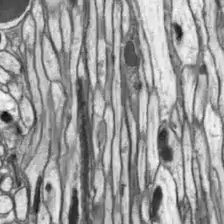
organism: Drosophila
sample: Optic lobe